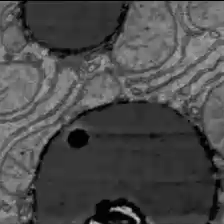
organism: C57BL Mouse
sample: Liver